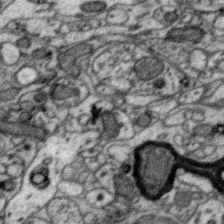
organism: Zebra finch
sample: Brain